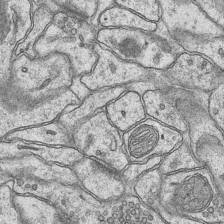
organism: Mouse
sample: CA1 Hippocampus